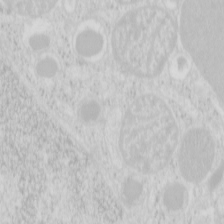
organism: Mouse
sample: Pancreas